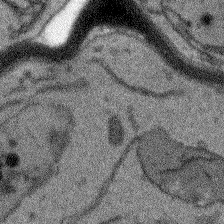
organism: Arabidopsis thaliana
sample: Root tip